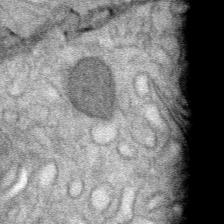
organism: Mouse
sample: Mouse Salivary gland